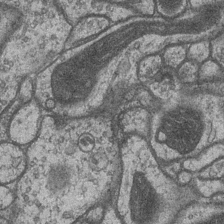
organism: Drosophila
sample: Optic medulla